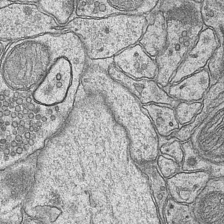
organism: Mouse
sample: CA1 Hippocampus